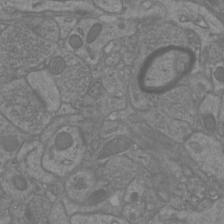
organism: Mouse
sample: Cortical neurons